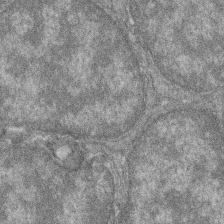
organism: Zebrafish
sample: Cilia; retinal pigment epithelium